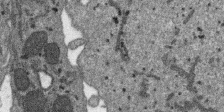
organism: Human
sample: Lung epithelial cells infected with SARS-CoV-2